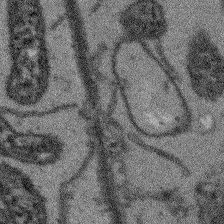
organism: Arabidopsis thaliana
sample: Root tip